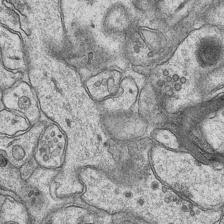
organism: Mouse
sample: CA1 Hippocampus